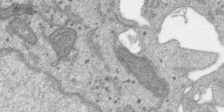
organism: Human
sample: Lung epithelial cells infected with SARS-CoV-2